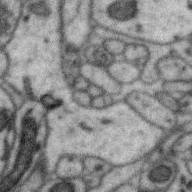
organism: Zebra finch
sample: Brain